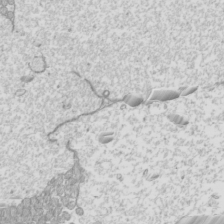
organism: Mouse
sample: Cilia; mouse epididymis